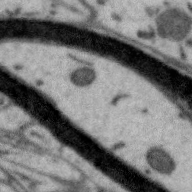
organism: Zebra finch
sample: Brain